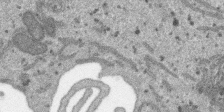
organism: Human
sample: Lung epithelial cells infected with SARS-CoV-2